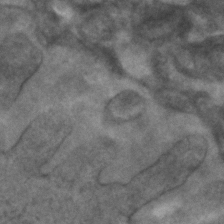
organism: C. elegans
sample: C. elegans embryo